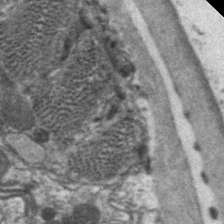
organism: C. elegans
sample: Pharynx